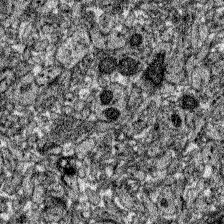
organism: Zebrafish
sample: Larval olfactory bulb